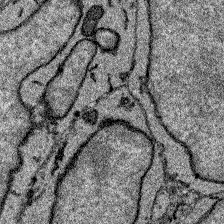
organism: Zebrafish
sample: Larval olfactory bulb